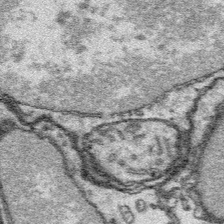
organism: Platynereis dumerilii